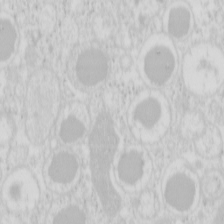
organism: Mouse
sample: Pancreas